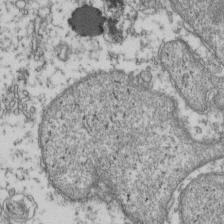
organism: Human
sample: Activated Jurkat CD4+ T cells